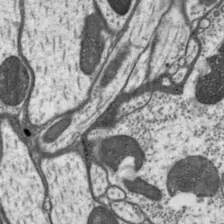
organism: Drosophila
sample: Protocerebral bridge